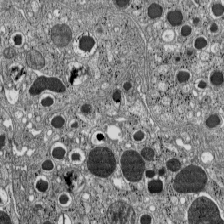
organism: C57BL Mouse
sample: Pancreatic islet